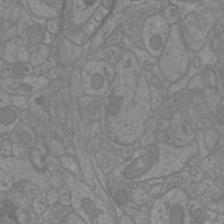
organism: Mouse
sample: Cortical neurons